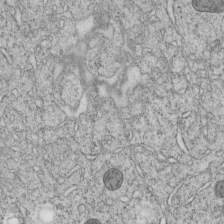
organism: C. elegans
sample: C. elegans embryo early stage